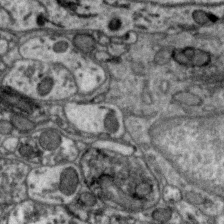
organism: Zebra finch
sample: Brain